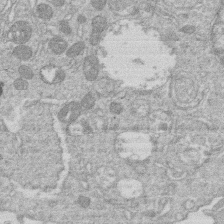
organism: Human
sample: Macrophage cells